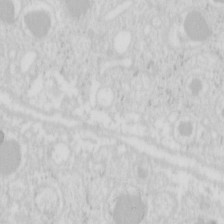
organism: Mouse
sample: Pancreas